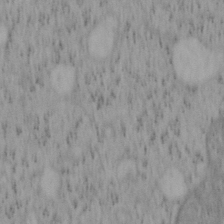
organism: Mouse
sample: OT-I killer T cells with ID8 ovarian cancer cells